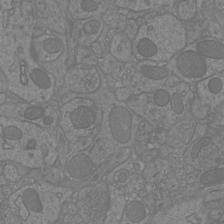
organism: Mouse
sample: Cortical neurons